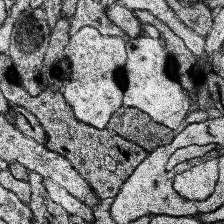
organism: Human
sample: Temporal Lobe